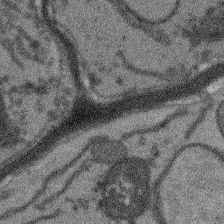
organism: Arabidopsis thaliana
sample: Root tip